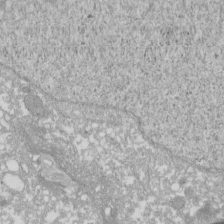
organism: Xenopus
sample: Cilia; centrioles in frog embryo cells